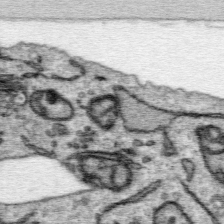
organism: Human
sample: HeLa cells